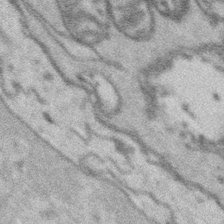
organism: Platynereis dumerilii